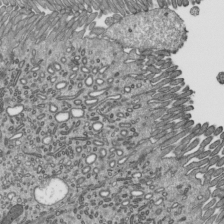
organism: Mouse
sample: Mouse epididymis efferent ductule cilia